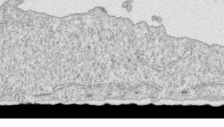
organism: Human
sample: HeLa cell HIV synapse